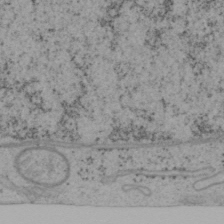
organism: Human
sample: HeLa cells